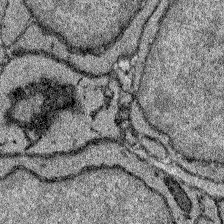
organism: Zebrafish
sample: Larval olfactory bulb